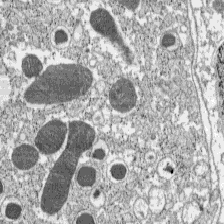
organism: C57BL Mouse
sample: Pancreatic islet